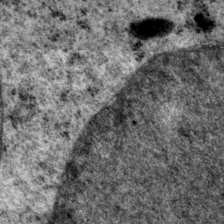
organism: P. pacificus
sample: Pharynx